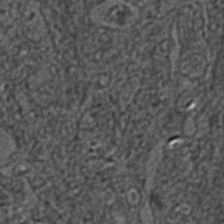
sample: Trachea